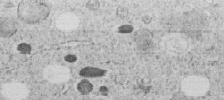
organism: C. elegans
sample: C. elegans embryo early stage